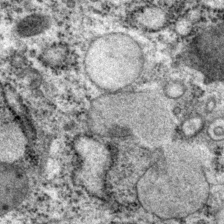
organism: P. pacificus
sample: Pharynx